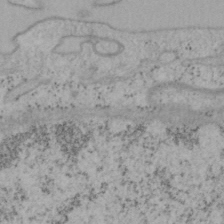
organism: Human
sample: HeLa cells